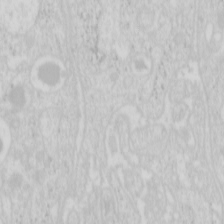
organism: Mouse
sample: Pancreas